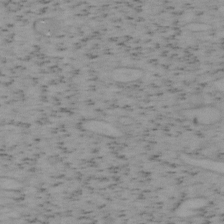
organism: Mouse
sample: OT-I killer T cells with ID8 ovarian cancer cells